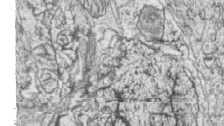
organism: Zebrafish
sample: synaptic ribbons in rod cells and cone cells